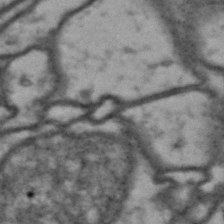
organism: Drosophila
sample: Brain